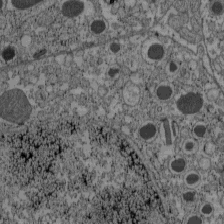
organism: C57BL Mouse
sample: Pancreatic islet